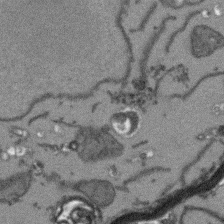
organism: Arabidopsis thaliana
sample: Root tip